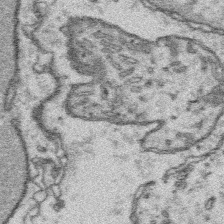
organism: Platynereis dumerilii